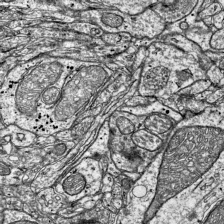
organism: Mouse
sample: Visual Cortex